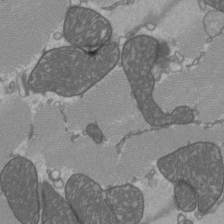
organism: C57BL Mouse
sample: Heart